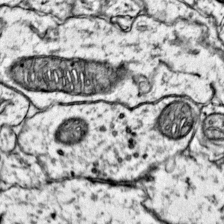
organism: Mouse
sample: Primary visual cortex